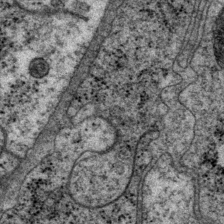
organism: P. pacificus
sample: Pharynx